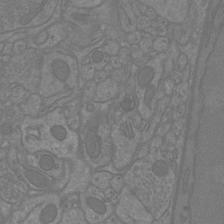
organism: Mouse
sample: Cortical neurons